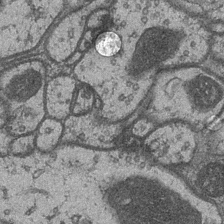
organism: Drosophila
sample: Optic medulla